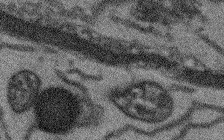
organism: Arabidopsis thaliana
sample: Root tip